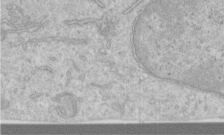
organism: Human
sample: Centriole in RPE cells